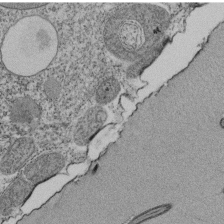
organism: Tetrahymena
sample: Cilia in tetrahymena